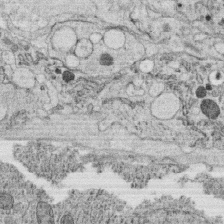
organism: C. elegans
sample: C. elegans oocyte; sperm cells